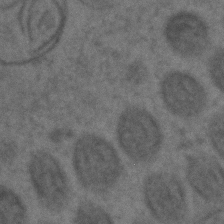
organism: C. elegans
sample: C. elegans embryo